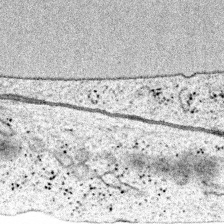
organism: Human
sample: HeLa cells